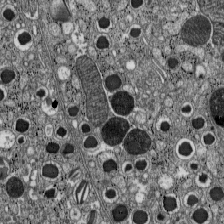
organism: C57BL Mouse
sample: Pancreatic islet